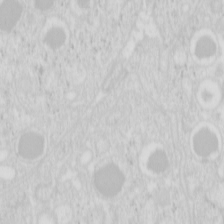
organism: Mouse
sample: Pancreas